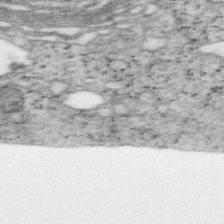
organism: Mouse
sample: OT-I killer T cells with ID8 ovarian cancer cells